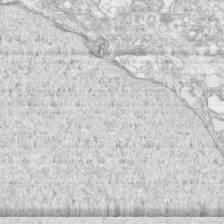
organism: Human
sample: CRL-1474